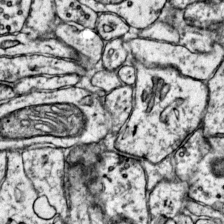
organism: Mouse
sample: Primary visual cortex